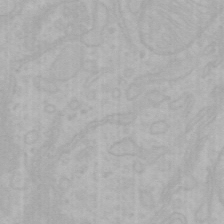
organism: Mouse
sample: Choroid plexus